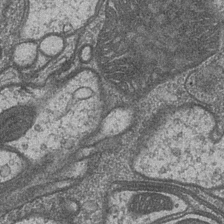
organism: Drosophila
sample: Optic medulla